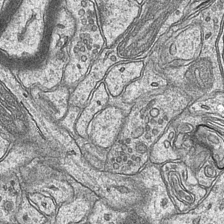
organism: Mouse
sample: CA1 Hippocampus